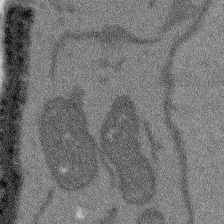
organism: Arabidopsis thaliana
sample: Root tip